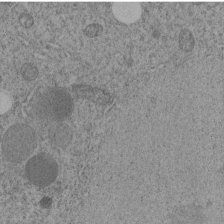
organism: C. elegans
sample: C. elegans embryo early stage